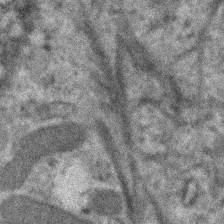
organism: Human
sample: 1205lu cells